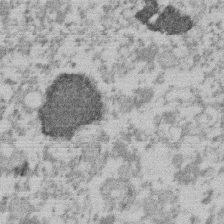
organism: Mouse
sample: Dividing mouse embryo 1 cell stage